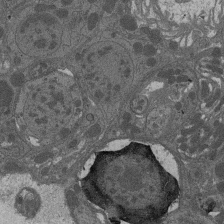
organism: Drosophila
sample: Antenna